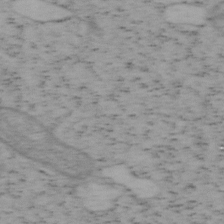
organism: Mouse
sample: OT-I killer T cells with ID8 ovarian cancer cells